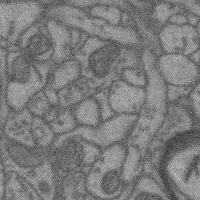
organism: Mouse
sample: Cerebral cortex